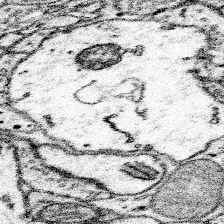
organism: Mouse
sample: Somatosensory cortex neuropil